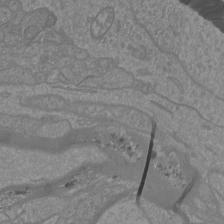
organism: Mouse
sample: Cortical neurons